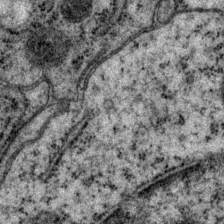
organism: P. pacificus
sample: Pharynx